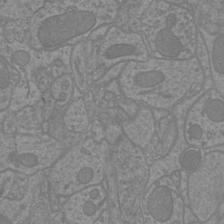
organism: Mouse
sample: Cortical neurons